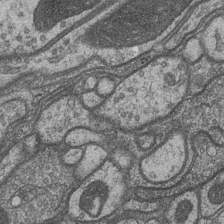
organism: Drosophila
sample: Optic medulla